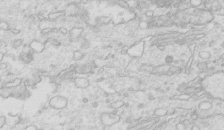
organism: Mouse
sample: Multiciliated cells